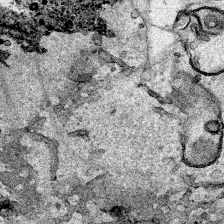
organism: Human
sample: Mitochondria in HCT116 cells